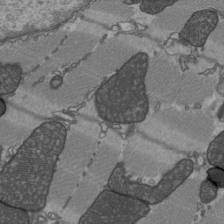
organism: C57BL Mouse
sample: Heart